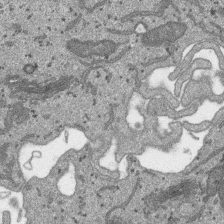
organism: Human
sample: Lung epithelial cells infected with SARS-CoV-2